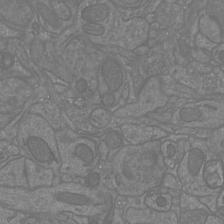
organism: Mouse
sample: Cortical neurons